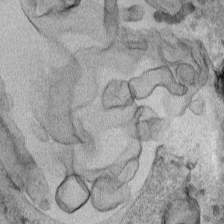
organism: Human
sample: Mitochondria in HCT116 cells